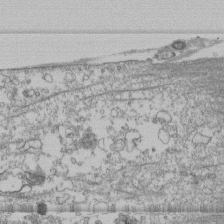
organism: Human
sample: Fibroblast cells